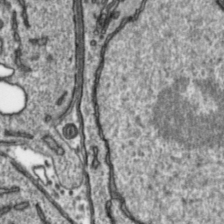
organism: Toxoplasma gondii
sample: Parasites in a vacuole inside a host cell